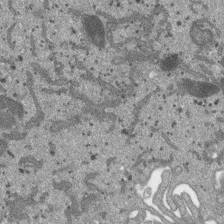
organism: Human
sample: Lung epithelial cells infected with SARS-CoV-2